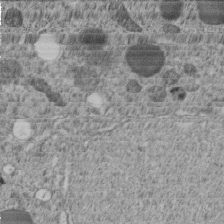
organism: C. elegans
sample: C. elegans embryo early stage